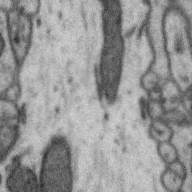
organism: Zebra finch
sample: Brain